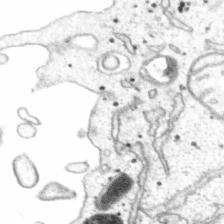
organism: Human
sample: HeLa cells